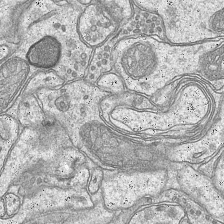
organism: Mouse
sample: CA1 Hippocampus